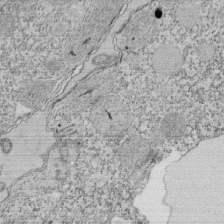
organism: Tetrahymena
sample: Cilia in tetrahymena